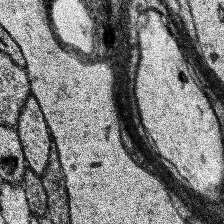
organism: Human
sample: Temporal Lobe